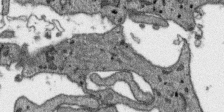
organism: Human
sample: Lung epithelial cells, uninfected (mock) control